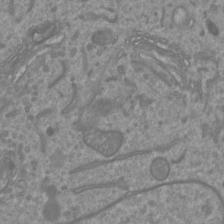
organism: Mouse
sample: Cortical neurons